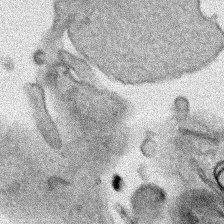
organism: Human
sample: Mitochondria in HCT116 cells